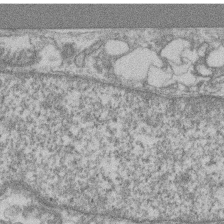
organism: Mouse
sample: T cell stromal cell synapse